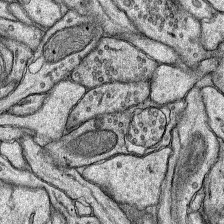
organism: Rat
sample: Hippocampus